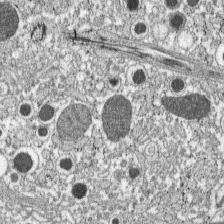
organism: C57BL Mouse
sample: Pancreatic islet